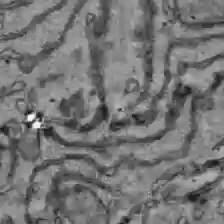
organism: C57BL Mouse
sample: Liver